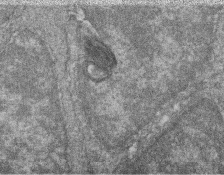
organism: Zebrafish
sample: Cilia; retinal pigment epithelium